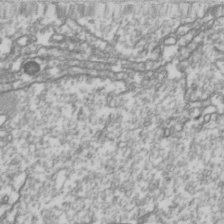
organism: Drosophila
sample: Cell division; meiosis; drosophila spermatocytes